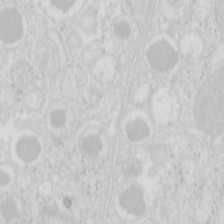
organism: Mouse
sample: Pancreas